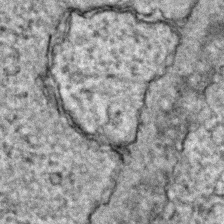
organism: Zebrafish